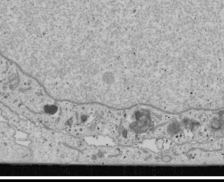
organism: Human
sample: Mitochondria in U2OS cells